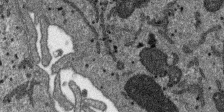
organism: Human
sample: Lung epithelial cells infected with SARS-CoV-2